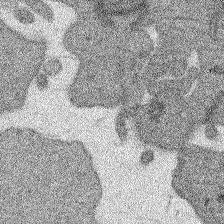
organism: Human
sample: HeLa cells